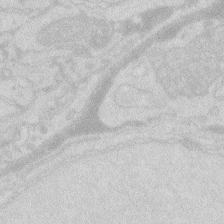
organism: Zebrafish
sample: Macrophage